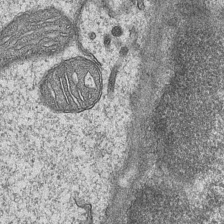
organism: Mouse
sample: CA1 Hippocampus